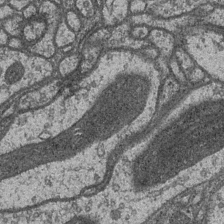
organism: Drosophila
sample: Optic medulla